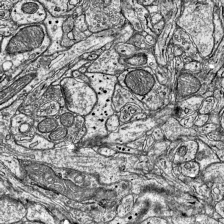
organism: Mouse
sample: Visual Cortex